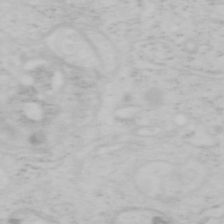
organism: Mouse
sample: OT-I killer T cells with ID8 ovarian cancer cells